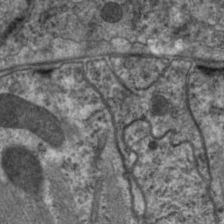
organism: C. elegans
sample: Pharynx